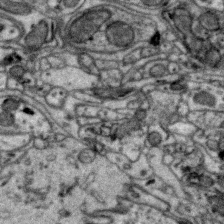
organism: Zebra finch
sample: Brain